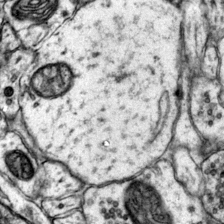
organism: Mouse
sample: Primary visual cortex